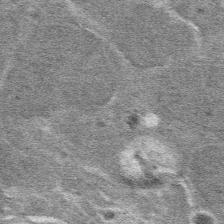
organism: Mouse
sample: Mouse hepatocytes